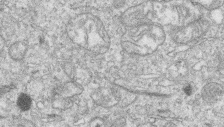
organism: Human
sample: HeLa cell HIV synapse